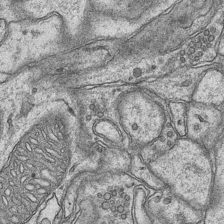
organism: Mouse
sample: CA1 Hippocampus